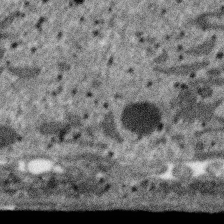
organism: Human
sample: Lung epithelial cells infected with SARS-CoV-2